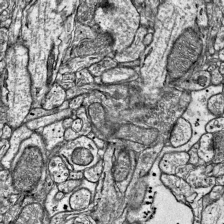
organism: Mouse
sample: Visual Cortex